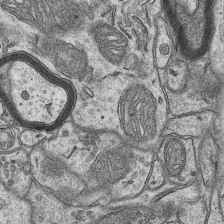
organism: Mouse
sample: CA1 Hippocampus